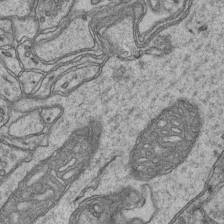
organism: Mouse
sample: CA1 Hippocampus